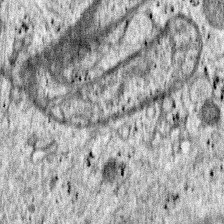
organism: Human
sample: HeLa cells